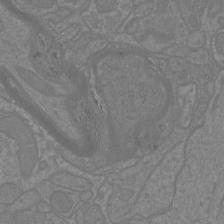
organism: Mouse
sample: Cortical neurons